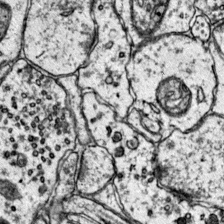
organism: Mouse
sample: Primary visual cortex